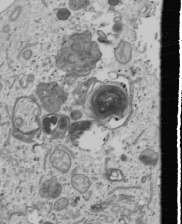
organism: Human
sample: Mitochondria in U2OS cells